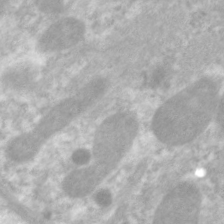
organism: C. elegans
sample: Pharynx